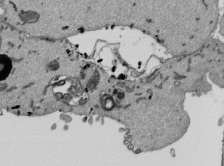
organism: Mouse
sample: ED-1 cell nuclei; centrioles